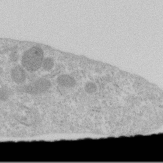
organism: Human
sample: Centriole in RPE cells